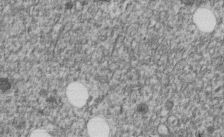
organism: C. elegans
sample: C. elegans embryo early stage